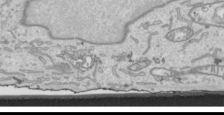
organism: Human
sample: Mitochondria in HCT116 cells